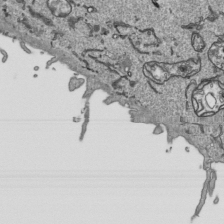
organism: Human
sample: Mitochondria in HCT116 cells